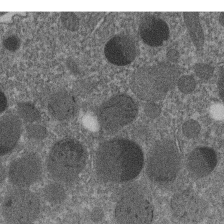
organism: C. elegans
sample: C. elegans embryo early stage